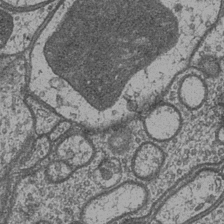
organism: Drosophila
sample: Optic medulla